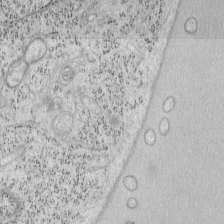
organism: Mouse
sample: OT-I killer T cells with ID8 ovarian cancer cells